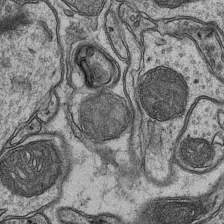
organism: Mouse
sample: CA1 Hippocampus